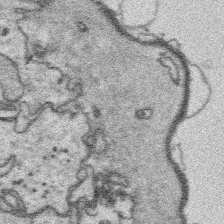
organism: Platynereis dumerilii